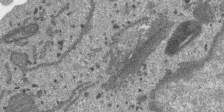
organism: Human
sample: Lung epithelial cells infected with SARS-CoV-2